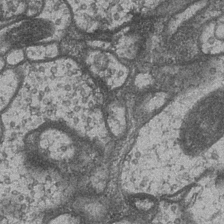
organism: Drosophila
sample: Optic medulla